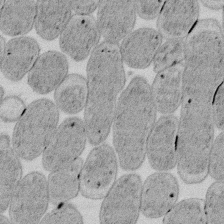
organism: E. coli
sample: Bacterial nucleoid